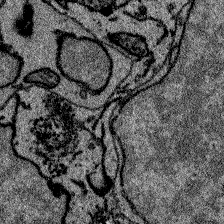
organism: Zebrafish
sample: Larval olfactory bulb